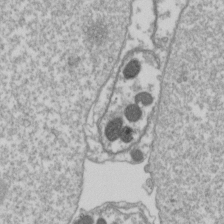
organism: Drosophila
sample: Cell division; meiosis; drosophila spermatocytes